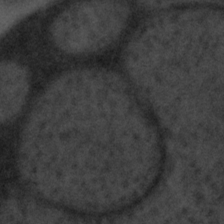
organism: Tuwongella immobilis